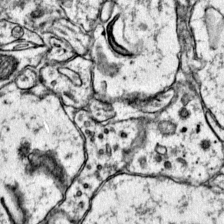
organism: Mouse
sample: Primary visual cortex